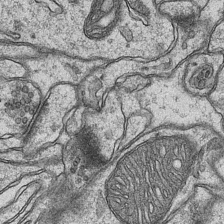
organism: Mouse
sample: CA1 Hippocampus